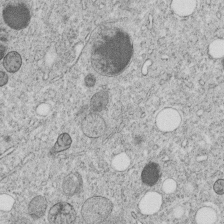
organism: C. elegans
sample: C. elegans embryo early stage